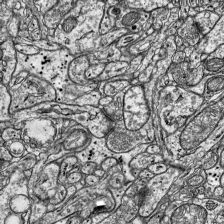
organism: Mouse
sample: Visual Cortex